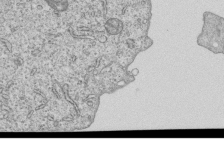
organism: Human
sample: MDA-MB-231 cells